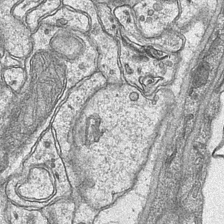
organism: Mouse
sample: CA1 Hippocampus